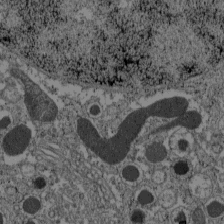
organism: C57BL Mouse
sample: Pancreatic islet